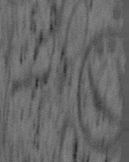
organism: Human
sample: HeLa cells